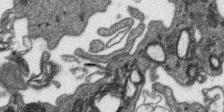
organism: Human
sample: Lung epithelial cells infected with SARS-CoV-2